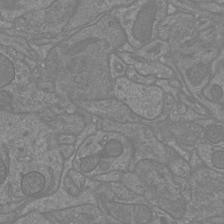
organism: Mouse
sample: Cortical neurons